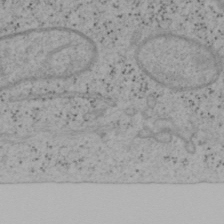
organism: Human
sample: HeLa cells